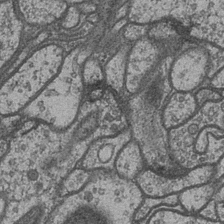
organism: Drosophila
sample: Optic medulla